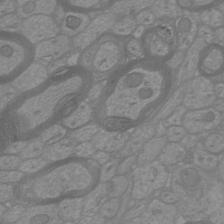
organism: Mouse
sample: Cortical neurons